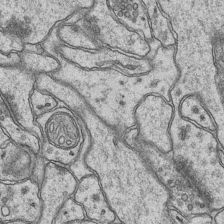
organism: Mouse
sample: CA1 Hippocampus